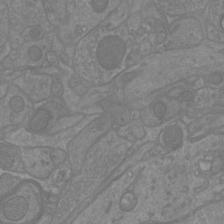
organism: Mouse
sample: Cortical neurons